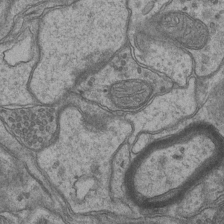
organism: Mouse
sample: CA1 Hippocampus